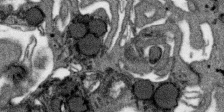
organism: Human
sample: Lung epithelial cells, uninfected (mock) control